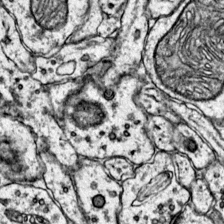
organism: Mouse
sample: Primary visual cortex